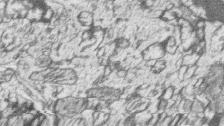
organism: Zebrafish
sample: synaptic ribbons in rod cells and cone cells